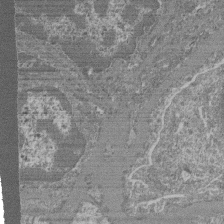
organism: Mouse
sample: Glomerulus